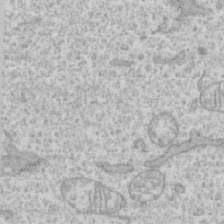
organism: Human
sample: CRL-1474